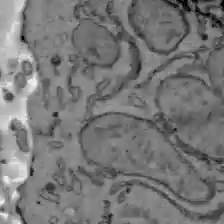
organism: C57BL Mouse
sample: Liver